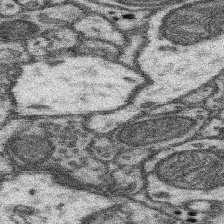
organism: Mouse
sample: Somatosensory cortex neuropil